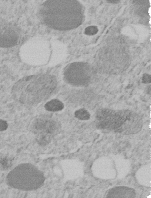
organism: C. elegans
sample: C. elegans embryo early stage